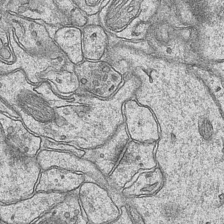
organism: Mouse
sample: CA1 Hippocampus